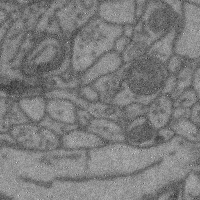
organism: Mouse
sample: Cerebral cortex